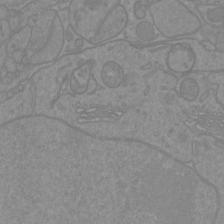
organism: Mouse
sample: Cortical neurons